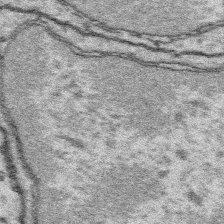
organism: Platynereis dumerilii